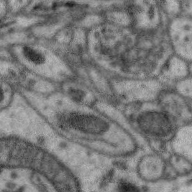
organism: Zebra finch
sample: Brain